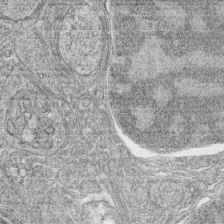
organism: Zebrafish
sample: synaptic ribbons in rod cells and cone cells